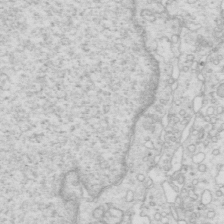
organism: Mouse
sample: Multiciliated cells